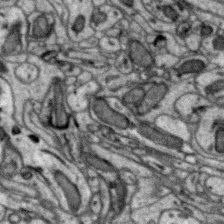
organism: Zebra finch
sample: Brain